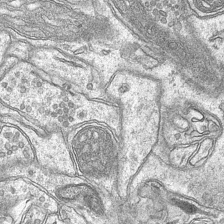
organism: Mouse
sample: CA1 Hippocampus